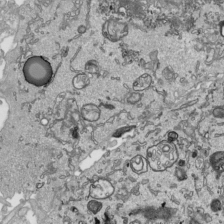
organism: Human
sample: Mitochondria in HCT116 cells